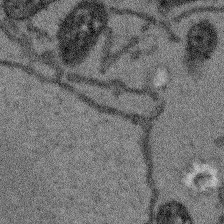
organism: Arabidopsis thaliana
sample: Root tip